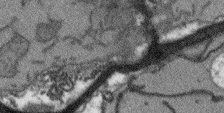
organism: Arabidopsis thaliana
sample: Root tip